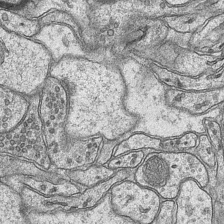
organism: Mouse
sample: CA1 Hippocampus